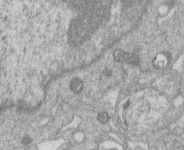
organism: Human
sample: Macrophage cells